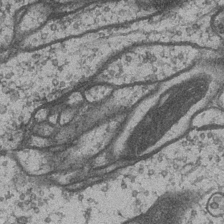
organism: Drosophila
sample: Optic medulla